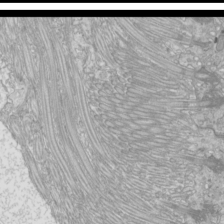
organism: Mouse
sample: Cilia; mouse epididymis